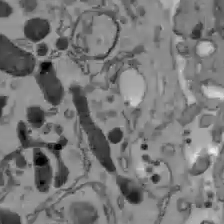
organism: C57BL Mouse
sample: Liver